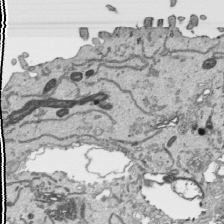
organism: Human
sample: Mitochondria in HCT116 cells